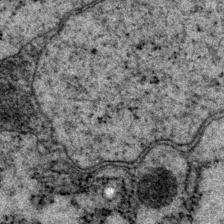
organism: P. pacificus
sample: Pharynx